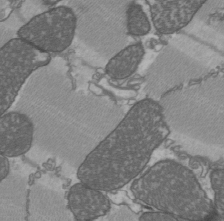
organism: C57BL Mouse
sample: Heart